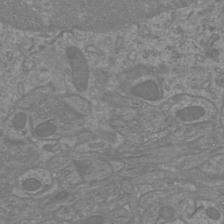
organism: Mouse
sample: Cortical neurons